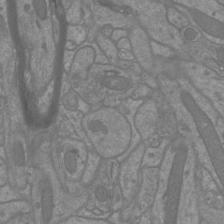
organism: Mouse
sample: Cortical neurons